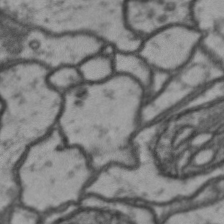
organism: Drosophila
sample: Brain